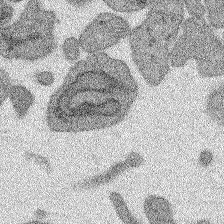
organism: Human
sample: HeLa cells